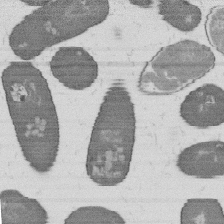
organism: B. subtilis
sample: Bacterial spore